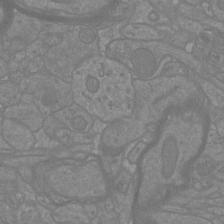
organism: Mouse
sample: Cortical neurons